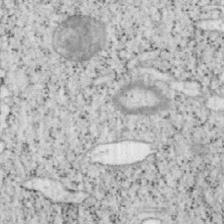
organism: Mouse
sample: OT-I killer T cells with ID8 ovarian cancer cells